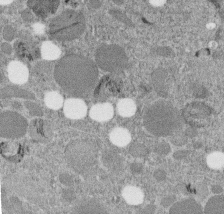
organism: C. elegans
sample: C. elegans embryo early stage